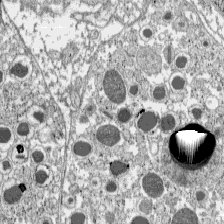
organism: C57BL Mouse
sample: Pancreatic islet